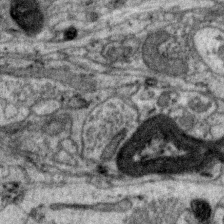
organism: Zebra finch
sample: Brain